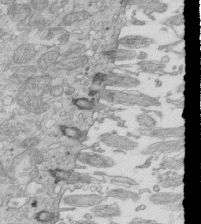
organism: Mouse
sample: Multiciliated cells